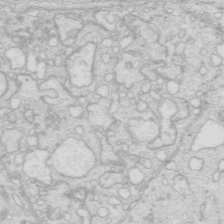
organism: Mouse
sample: Multiciliated cells